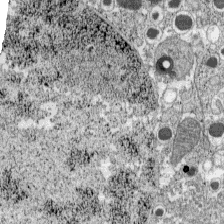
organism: C57BL Mouse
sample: Pancreatic islet